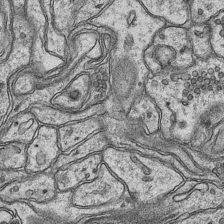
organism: Mouse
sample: CA1 Hippocampus